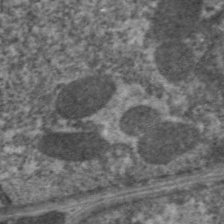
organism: C. elegans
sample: Pharynx